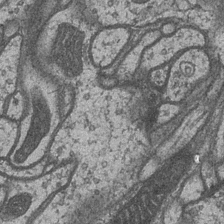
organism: Drosophila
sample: Optic medulla